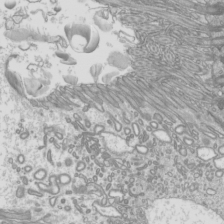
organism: Mouse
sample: Cilia; mouse epididymis